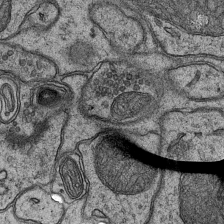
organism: Mouse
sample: CA1 Hippocampus